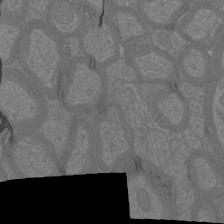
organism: Mouse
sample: Cortical neurons